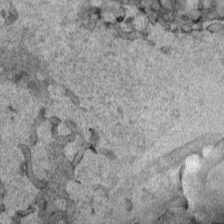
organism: Human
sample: Mitochondria in HCT116 cells